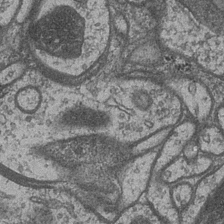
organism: Drosophila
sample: Optic medulla